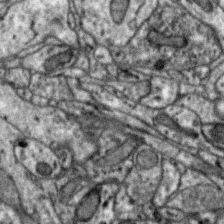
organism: Zebra finch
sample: Brain